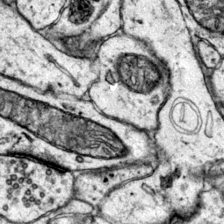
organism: Mouse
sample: Primary visual cortex